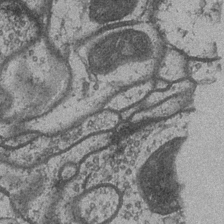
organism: Drosophila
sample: Optic medulla